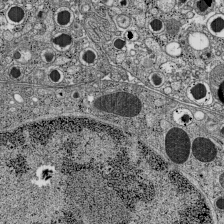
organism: C57BL Mouse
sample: Pancreatic islet